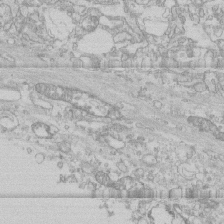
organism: Human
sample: CRL-1474